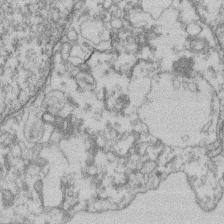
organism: Mouse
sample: T cell stromal cell synapse